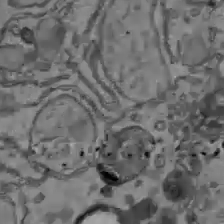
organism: C57BL Mouse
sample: Liver